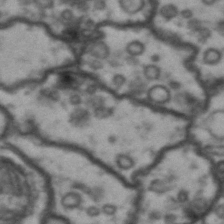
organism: Drosophila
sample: Brain